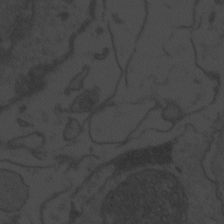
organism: Zebrafish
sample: Macrophage infected with Toxoplasma gondii